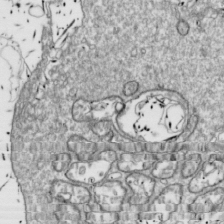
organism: Drosophila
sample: Cell division; meiosis; drosophila spermatocytes